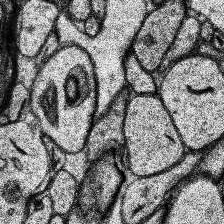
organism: Human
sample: Temporal Lobe